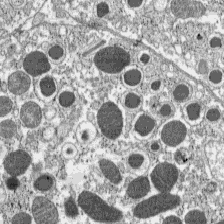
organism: C57BL Mouse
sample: Pancreatic islet